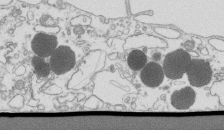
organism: Mouse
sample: Macrophages